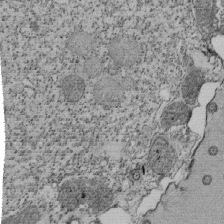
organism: Tetrahymena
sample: Cilia in tetrahymena